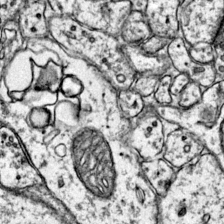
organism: Mouse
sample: Primary visual cortex